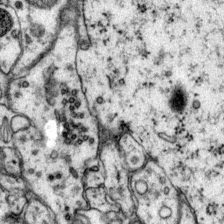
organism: Mouse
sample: Primary visual cortex